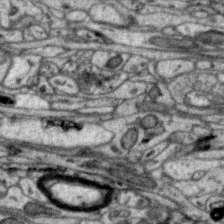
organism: Zebra finch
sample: Brain